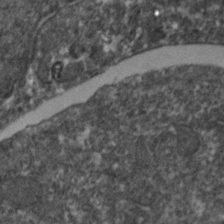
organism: Zebrafish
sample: Zebrafish embryo